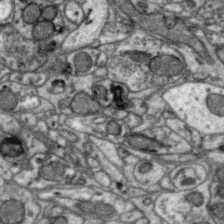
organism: Zebra finch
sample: Brain